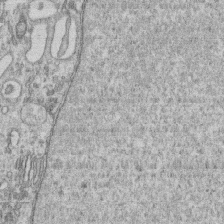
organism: Human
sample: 1205lu cells